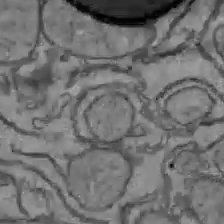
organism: C57BL Mouse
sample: Liver